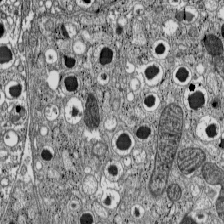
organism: C57BL Mouse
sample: Pancreatic islet